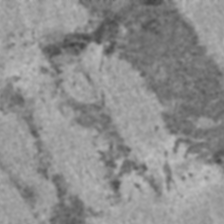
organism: C57BL Mouse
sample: Heart